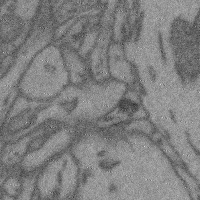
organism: Mouse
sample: Cerebral cortex